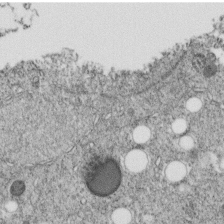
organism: C. elegans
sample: C. elegans embryo early stage